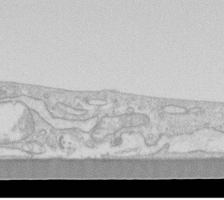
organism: Human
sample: Fibroblast cells